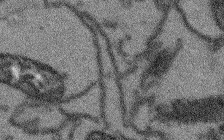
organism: Arabidopsis thaliana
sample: Root tip